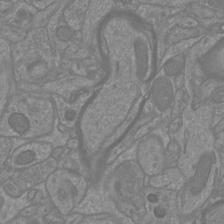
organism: Mouse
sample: Cortical neurons